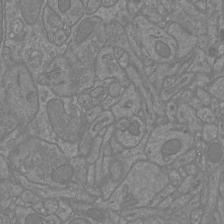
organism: Mouse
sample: Cortical neurons